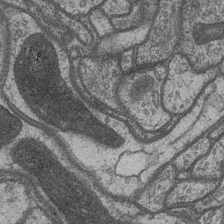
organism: Drosophila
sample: Optic medulla